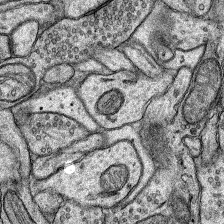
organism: Rat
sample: Hippocampus